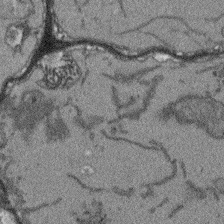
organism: Arabidopsis thaliana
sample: Root tip